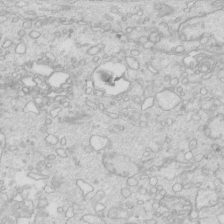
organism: Mouse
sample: Multiciliated cells